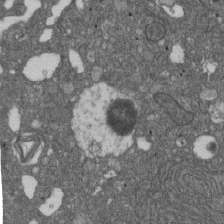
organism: Drosophila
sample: Nephrocyte